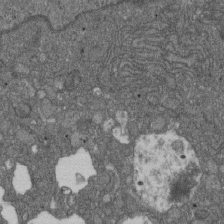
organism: Drosophila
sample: Nephrocyte